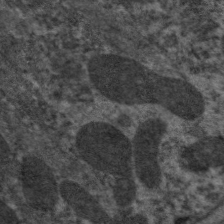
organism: C. elegans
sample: Pharynx